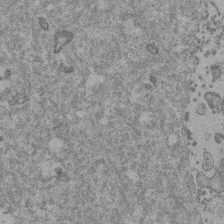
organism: Mouse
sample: Dividing mouse embryo 1 cell stage